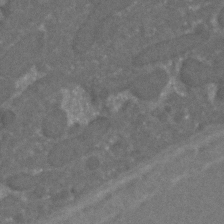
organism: C. elegans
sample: C. elegans embryo